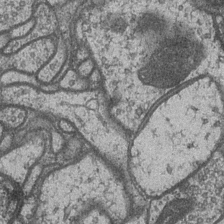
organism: Drosophila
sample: Optic medulla